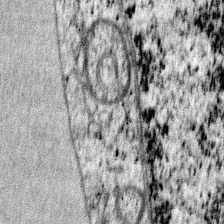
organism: Human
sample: HeLa cells